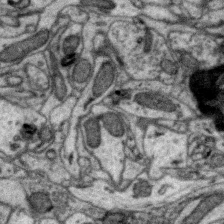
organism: Zebra finch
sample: Brain